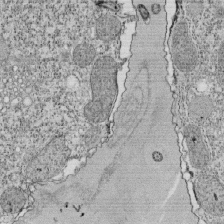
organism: Tetrahymena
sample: Cilia in tetrahymena